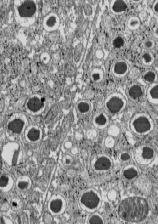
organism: C57BL Mouse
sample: Pancreatic islet